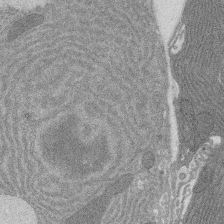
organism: Rat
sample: Salivary granule